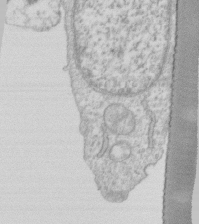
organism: Human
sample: Fibroblast cells